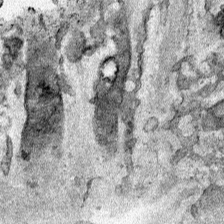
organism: Human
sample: Mitochondria in HCT116 cells